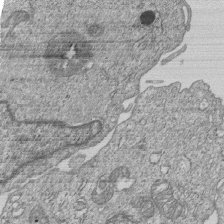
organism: Human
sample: MDA-MB-231 cells